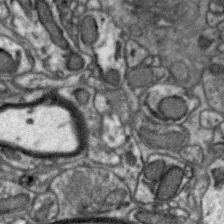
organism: Zebra finch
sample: Brain